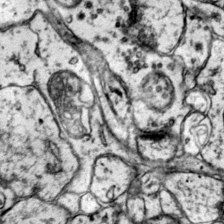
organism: Mouse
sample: Primary visual cortex